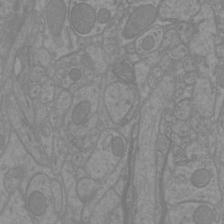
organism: Mouse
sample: Cortical neurons